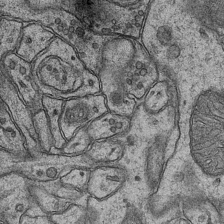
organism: Mouse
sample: CA1 Hippocampus